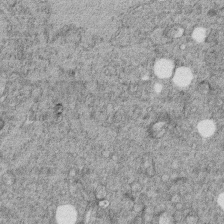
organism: C. elegans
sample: C. elegans embryo early stage